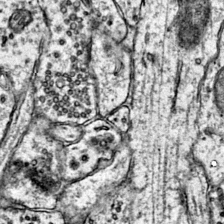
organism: Mouse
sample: Primary visual cortex